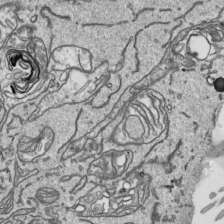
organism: Human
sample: Mitochondria in HCT116 cells